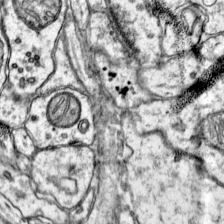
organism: Mouse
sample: Primary visual cortex